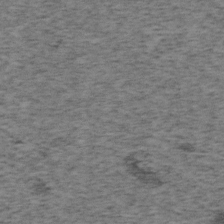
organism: Mouse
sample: OT-I killer T cells with ID8 ovarian cancer cells